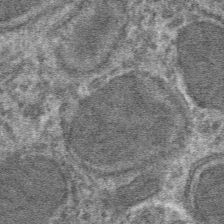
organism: Mouse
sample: Mouse hepatocytes